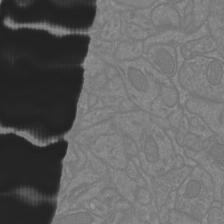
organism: Mouse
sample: Cortical neurons